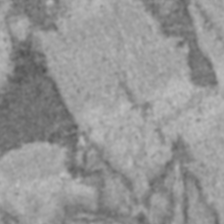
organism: C57BL Mouse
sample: Heart